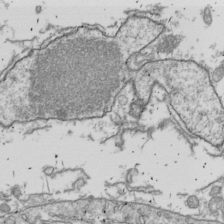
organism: Drosophila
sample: Cell division; meiosis; drosophila spermatocytes